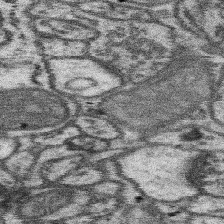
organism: Mouse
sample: Somatosensory cortex neuropil